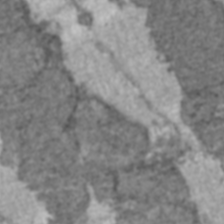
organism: C57BL Mouse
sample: Heart